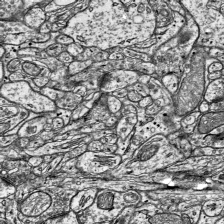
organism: Mouse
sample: Visual Cortex